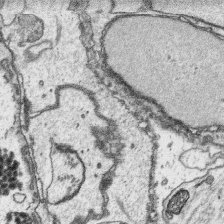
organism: Platynereis dumerilii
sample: Parapodia